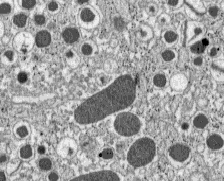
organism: C57BL Mouse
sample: Pancreatic islet